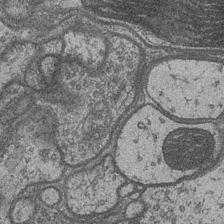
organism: Drosophila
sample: Optic medulla